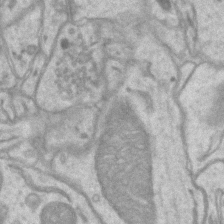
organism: Mouse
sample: CA1 Hippocampus